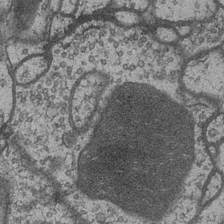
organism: Drosophila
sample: Optic medulla